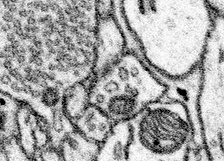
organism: Mouse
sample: Somatosensory cortex neuropil